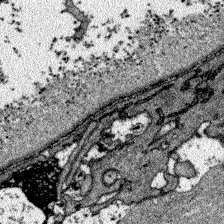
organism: Zebrafish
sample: Larval olfactory bulb